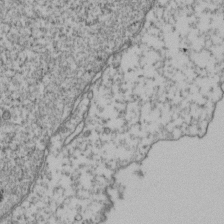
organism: Human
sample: Activated Jurkat CD4+ T cells